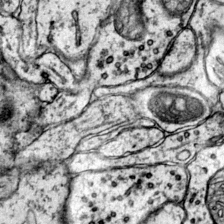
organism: Mouse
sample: Primary visual cortex